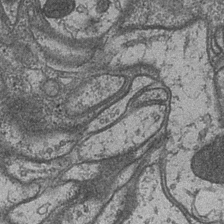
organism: Drosophila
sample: Optic medulla